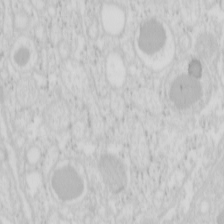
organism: Mouse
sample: Pancreas